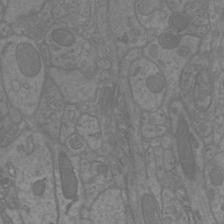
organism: Mouse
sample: Cortical neurons